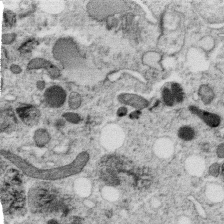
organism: C. elegans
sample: C. elegans oocyte; sperm cells